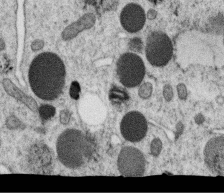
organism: C. elegans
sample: C. elegans oocyte; sperm cells